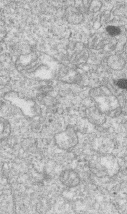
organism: Human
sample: HeLa cell HIV synapse